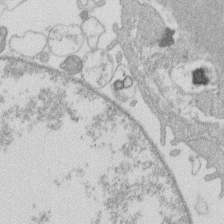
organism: Human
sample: Macrophage cells